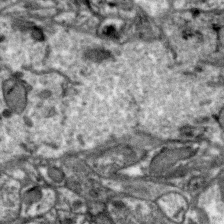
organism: Zebra finch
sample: Brain